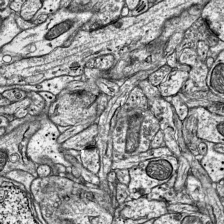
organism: Mouse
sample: Visual Cortex